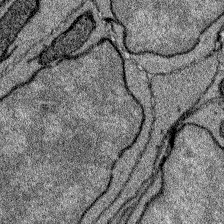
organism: Zebrafish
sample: Larval olfactory bulb